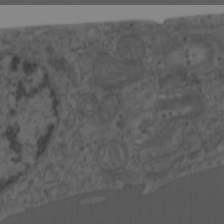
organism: Human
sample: HeLa cells